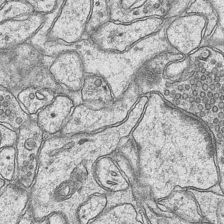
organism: Mouse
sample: CA1 Hippocampus